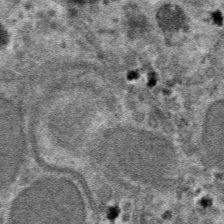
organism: Mouse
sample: Mouse hepatocytes